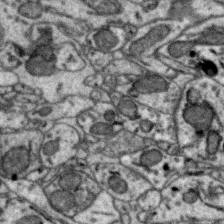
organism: Zebra finch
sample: Brain